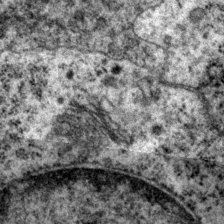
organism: P. pacificus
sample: Pharynx